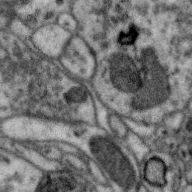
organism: Zebra finch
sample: Brain